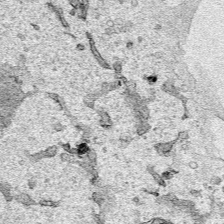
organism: Human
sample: Mitochondria in HCT116 cells